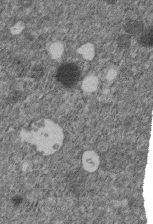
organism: C. elegans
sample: C. elegans embryo early stage